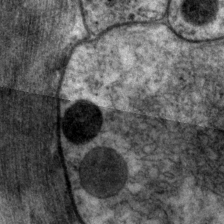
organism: P. pacificus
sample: Pharynx